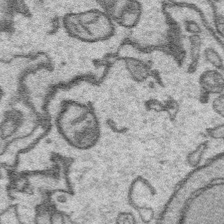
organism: Platynereis dumerilii